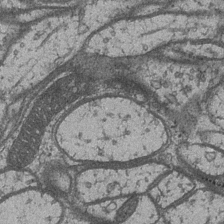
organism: Drosophila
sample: Optic medulla